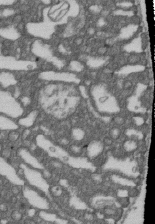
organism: Drosophila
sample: Nephrocyte